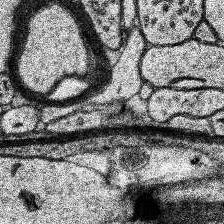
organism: Human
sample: Temporal Lobe